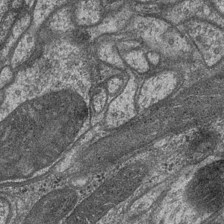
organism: Drosophila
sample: Optic medulla